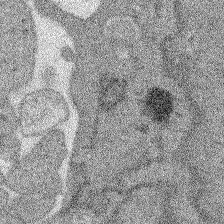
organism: Human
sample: HeLa cells